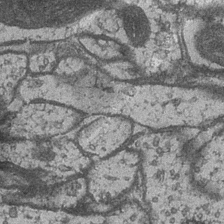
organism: Drosophila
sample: Optic medulla